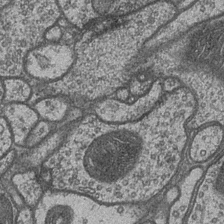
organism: Drosophila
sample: Optic medulla